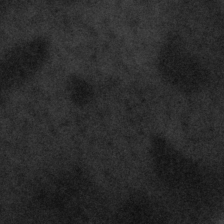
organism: Tuwongella immobilis